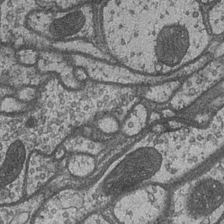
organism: Drosophila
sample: Optic medulla